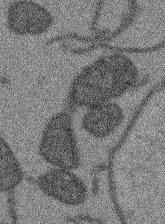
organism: Arabidopsis thaliana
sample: Root tip